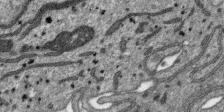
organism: Human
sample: Lung epithelial cells, uninfected (mock) control